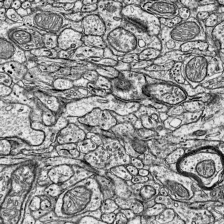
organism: Mouse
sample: Visual Cortex